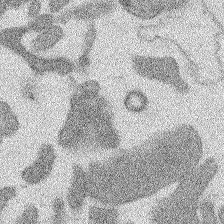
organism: Human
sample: HeLa cells